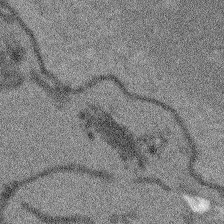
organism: Arabidopsis thaliana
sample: Root tip